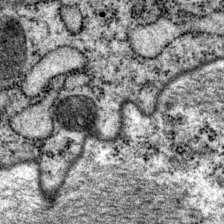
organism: P. pacificus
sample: Pharynx